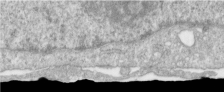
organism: Human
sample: Centriole in RPE cells